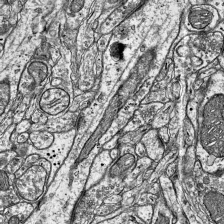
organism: Mouse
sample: Visual Cortex